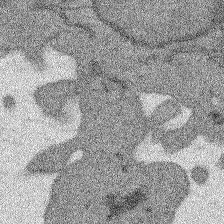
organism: Human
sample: HeLa cells